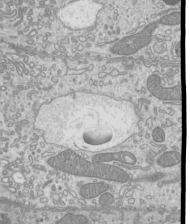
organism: Mouse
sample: Cilia; mouse epididymis